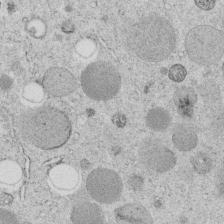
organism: C. elegans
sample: C. elegans embryo early stage